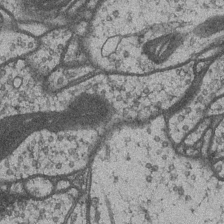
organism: Drosophila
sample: Optic medulla